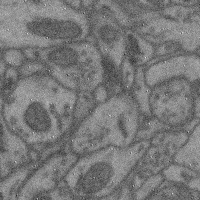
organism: Mouse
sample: Cerebral cortex